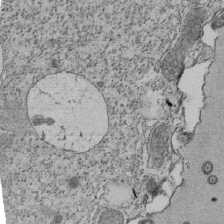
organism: Tetrahymena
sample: Cilia in tetrahymena